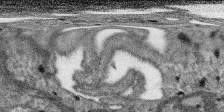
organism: Human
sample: Lung epithelial cells infected with SARS-CoV-2